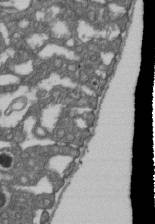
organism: Drosophila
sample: Nephrocyte